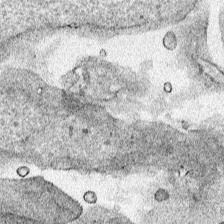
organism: Human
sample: Mitochondria in HCT116 cells